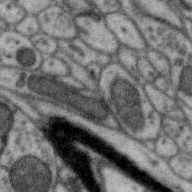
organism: Zebra finch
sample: Brain